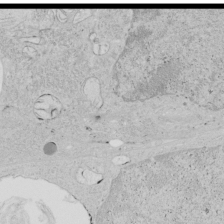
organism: Human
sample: Mitochondria in HCT116 cells